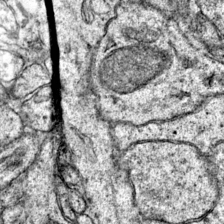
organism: Mouse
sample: Primary visual cortex